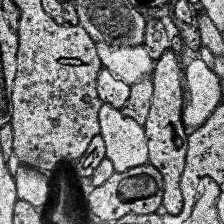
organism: Human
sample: Temporal Lobe